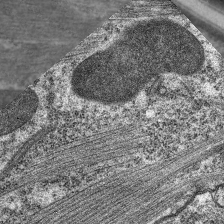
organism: C. elegans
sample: Pharynx